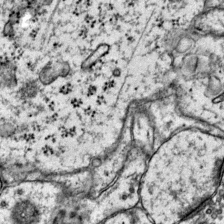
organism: Mouse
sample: Primary visual cortex